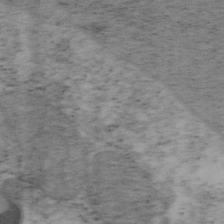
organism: Mouse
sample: OT-I killer T cells with ID8 ovarian cancer cells